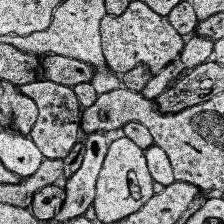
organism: Human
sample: Temporal Lobe